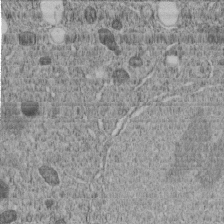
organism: C. elegans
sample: C. elegans embryo early stage